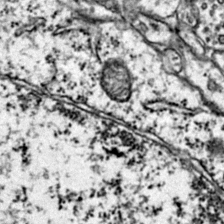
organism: Mouse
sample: Primary visual cortex